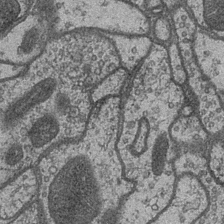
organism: Drosophila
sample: Optic medulla